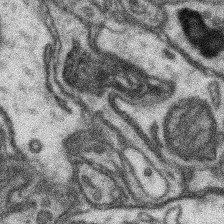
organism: Mouse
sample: Somatosensory cortex neuropil